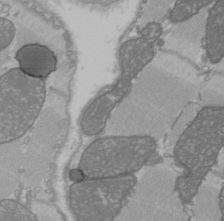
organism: C57BL Mouse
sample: Heart